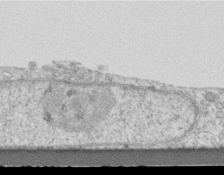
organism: Mouse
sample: Centriole in ependymal cells